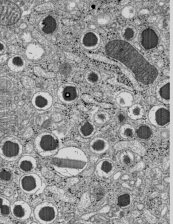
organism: C57BL Mouse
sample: Pancreatic islet